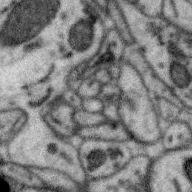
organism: Zebra finch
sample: Brain